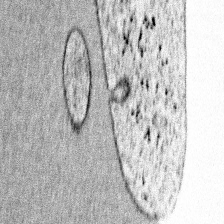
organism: Human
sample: HeLa cells